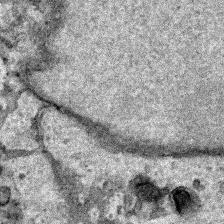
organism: Human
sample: Mitochondria in HCT116 cells